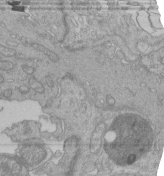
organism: Human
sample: Retinal organoid Rod and Cone cells